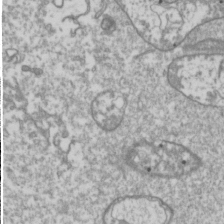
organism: Drosophila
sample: Cell division; meiosis; drosophila spermatocytes